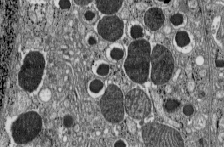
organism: C57BL Mouse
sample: Pancreatic islet